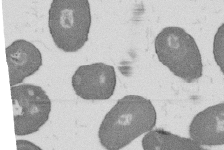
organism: B. subtilis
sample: Bacterial spore